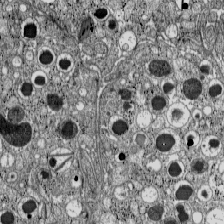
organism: C57BL Mouse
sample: Pancreatic islet